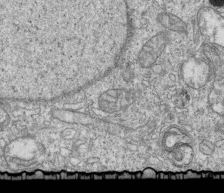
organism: Human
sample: HeLa cell HIV synapse